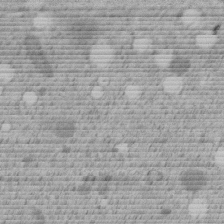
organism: C. elegans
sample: C. elegans embryo early stage